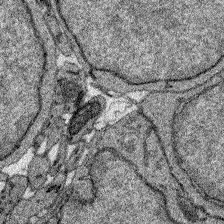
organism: Zebrafish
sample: Larval olfactory bulb